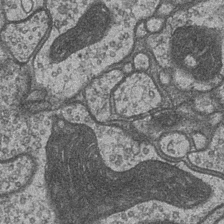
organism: Drosophila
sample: Optic medulla